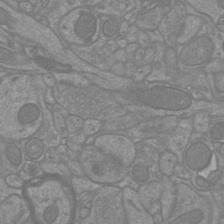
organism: Mouse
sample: Cortical neurons